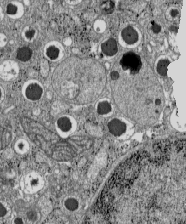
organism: C57BL Mouse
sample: Pancreatic islet